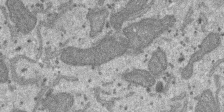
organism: Human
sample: Lung epithelial cells infected with SARS-CoV-2